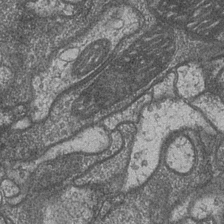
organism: Drosophila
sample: Optic medulla